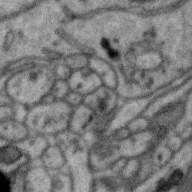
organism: Zebra finch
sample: Brain